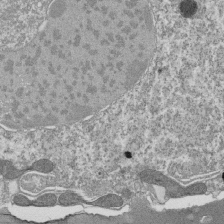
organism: Tetrahymena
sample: Cilia in tetrahymena